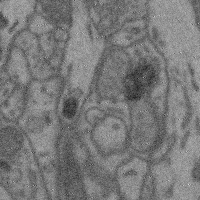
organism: Mouse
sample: Cerebral cortex